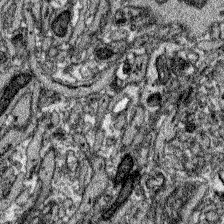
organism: Zebrafish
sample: Larval olfactory bulb